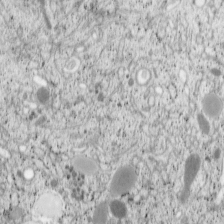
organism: African green monkey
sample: COS-7 cells